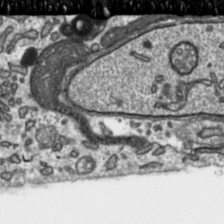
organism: Toxoplasma gondii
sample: Parasites in a vacuole inside a host cell